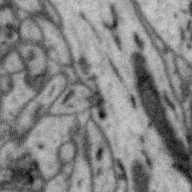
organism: Zebra finch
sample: Brain